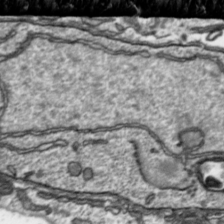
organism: Toxoplasma gondii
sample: Parasites in a vacuole inside a host cell